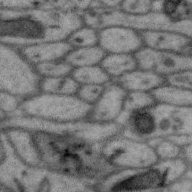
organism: Zebra finch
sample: Brain